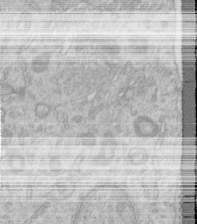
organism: Human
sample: Centriole in RPE cells